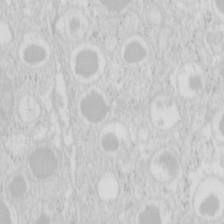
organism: Mouse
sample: Pancreas